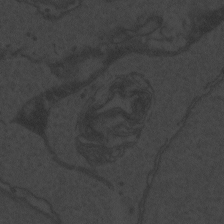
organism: Zebrafish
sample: Macrophage infected with Toxoplasma gondii